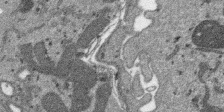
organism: Human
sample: Lung epithelial cells infected with SARS-CoV-2